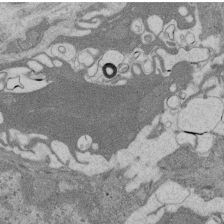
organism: Rat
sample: Salivary granule